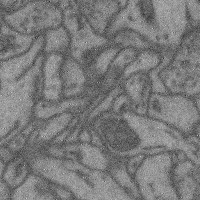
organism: Mouse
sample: Cerebral cortex